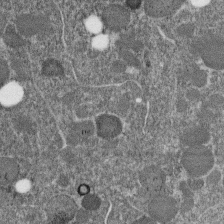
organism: C. elegans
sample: C. elegans embryo early stage